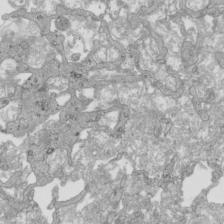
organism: Human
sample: Mitochondria in HCT116 cells